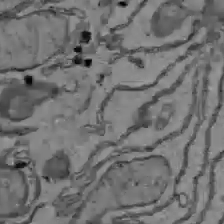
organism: C57BL Mouse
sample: Liver